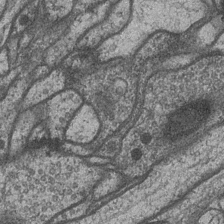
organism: Drosophila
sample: Optic medulla